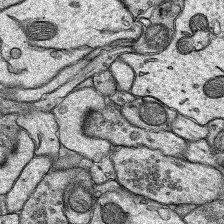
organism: Rat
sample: Hippocampus